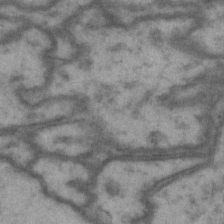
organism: Drosophila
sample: Brain